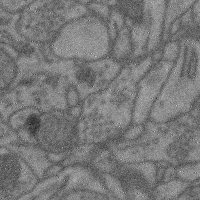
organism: Mouse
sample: Cerebral cortex